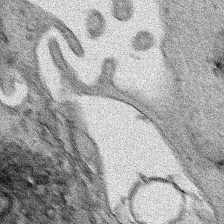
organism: Human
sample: Mitochondria in HCT116 cells